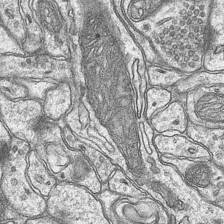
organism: Mouse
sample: CA1 Hippocampus